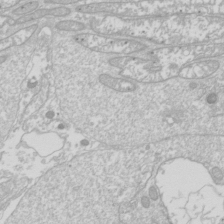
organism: Drosophila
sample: Cell division; meiosis; drosophila spermatocytes